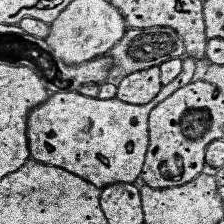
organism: Human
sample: Temporal Lobe